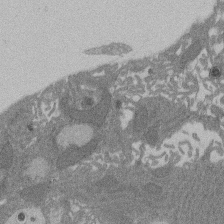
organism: Rat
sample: Salivary granule